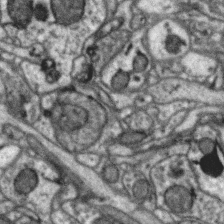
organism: Zebra finch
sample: Brain